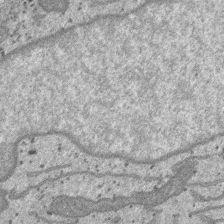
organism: Human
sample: Lung epithelial cells infected with SARS-CoV-2